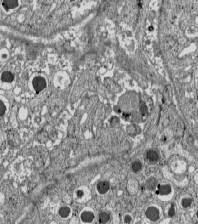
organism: C57BL Mouse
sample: Pancreatic islet